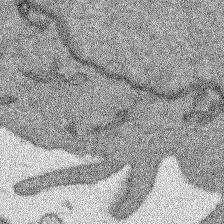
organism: Human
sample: HeLa cells